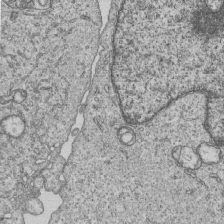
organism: Human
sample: MDA-MB-231 cells